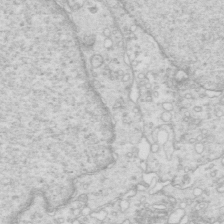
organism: Mouse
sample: Multiciliated cells